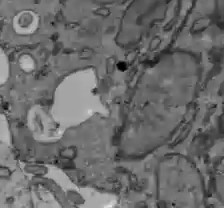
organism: C57BL Mouse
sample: Liver